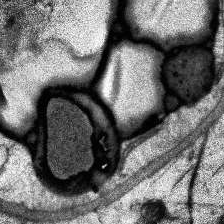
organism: Human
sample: Temporal Lobe